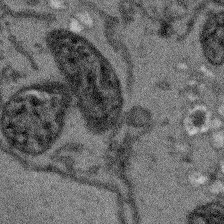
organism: Arabidopsis thaliana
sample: Root tip